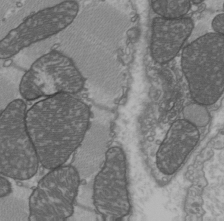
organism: C57BL Mouse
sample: Heart